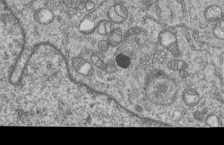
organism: Human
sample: MDA-MB-231 cells